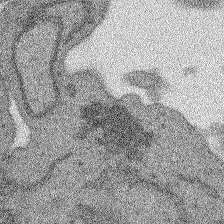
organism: Human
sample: HeLa cells